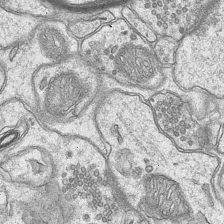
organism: Mouse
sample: CA1 Hippocampus